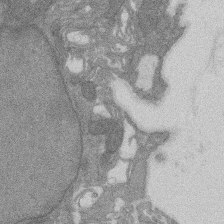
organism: Rat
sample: Salivary granule